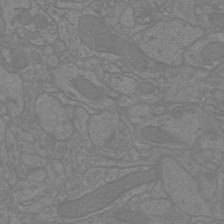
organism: Mouse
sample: Cortical neurons